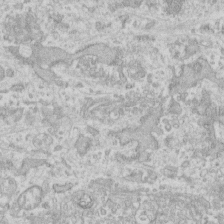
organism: Human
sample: Fibroblast cells